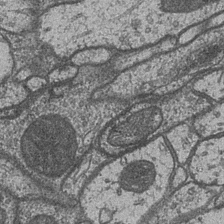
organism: Drosophila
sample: Optic medulla